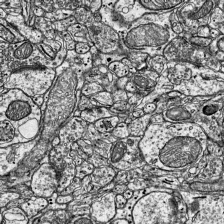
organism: Mouse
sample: Visual Cortex